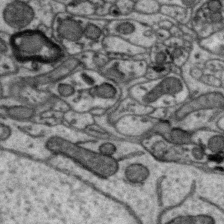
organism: Zebra finch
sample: Brain